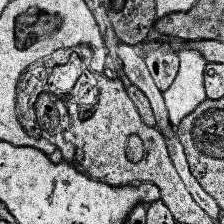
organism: Human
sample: Temporal Lobe